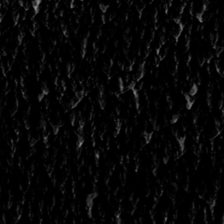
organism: Toxoplasma gondii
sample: Parasites in a vacuole inside a host cell